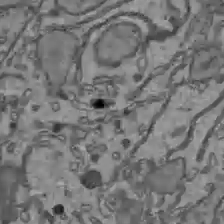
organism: C57BL Mouse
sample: Liver